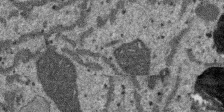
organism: Human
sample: Lung epithelial cells infected with SARS-CoV-2